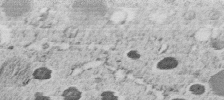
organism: C. elegans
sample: C. elegans embryo early stage